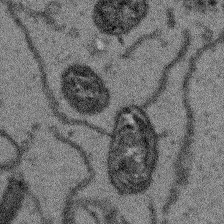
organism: Arabidopsis thaliana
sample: Root tip